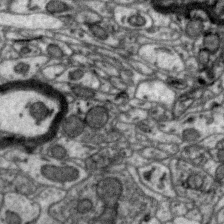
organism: Zebra finch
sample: Brain